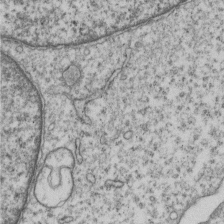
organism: Human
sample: MDA-MB-231 cells